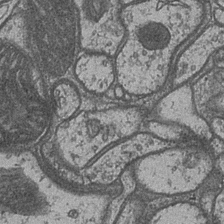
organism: Drosophila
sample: Optic medulla